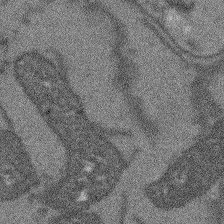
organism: Arabidopsis thaliana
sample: Root tip